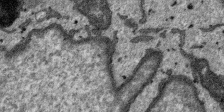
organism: Human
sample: Lung epithelial cells, uninfected (mock) control